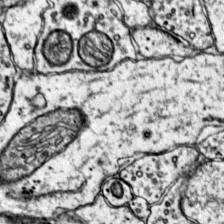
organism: Mouse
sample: Primary visual cortex